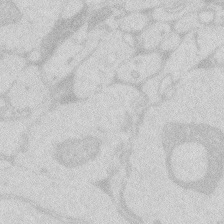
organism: Zebrafish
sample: Macrophage